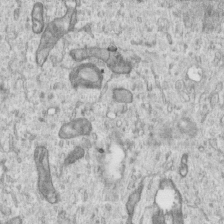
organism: Human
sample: Centriole in RPE cells